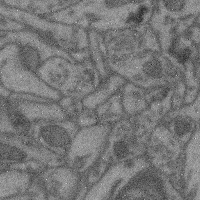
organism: Mouse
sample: Cerebral cortex